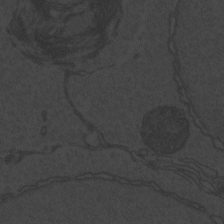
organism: Zebrafish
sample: Macrophage infected with Toxoplasma gondii